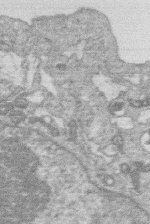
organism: Human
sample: Macrophage cells